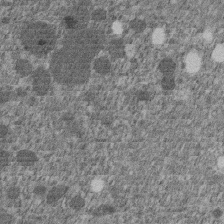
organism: C. elegans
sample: C. elegans embryo early stage